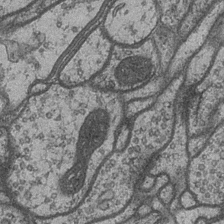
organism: Drosophila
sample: Optic medulla